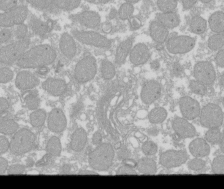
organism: Xenopus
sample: Cilia; centrioles in frog embryo cells